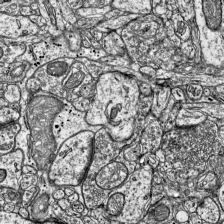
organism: Mouse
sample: Visual Cortex